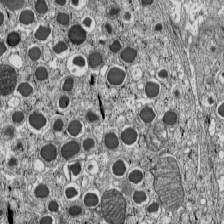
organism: C57BL Mouse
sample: Pancreatic islet